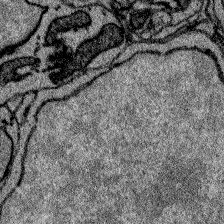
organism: Zebrafish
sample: Larval olfactory bulb